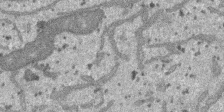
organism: Human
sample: Lung epithelial cells infected with SARS-CoV-2